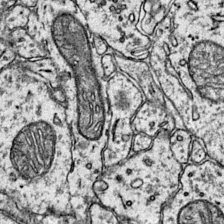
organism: Mouse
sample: Primary visual cortex